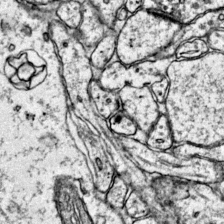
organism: Mouse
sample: Primary visual cortex